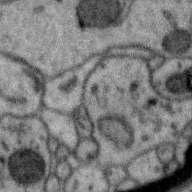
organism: Zebra finch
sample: Brain